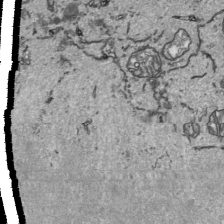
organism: Human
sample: Mitochondria in HCT116 cells